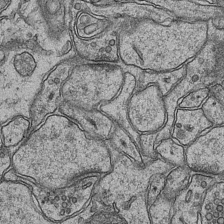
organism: Mouse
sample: CA1 Hippocampus